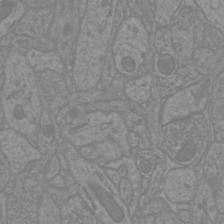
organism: Mouse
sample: Cortical neurons